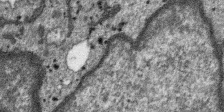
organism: Human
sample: Lung epithelial cells infected with SARS-CoV-2